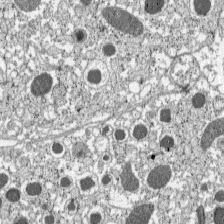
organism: C57BL Mouse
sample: Pancreatic islet